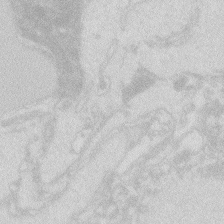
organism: Zebrafish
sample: Macrophage